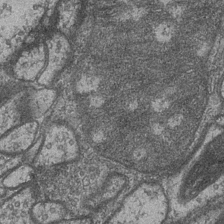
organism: Drosophila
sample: Optic medulla